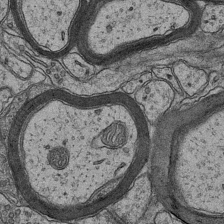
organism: Mouse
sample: CA1 Hippocampus